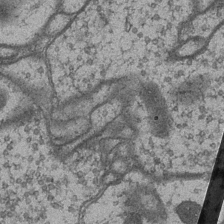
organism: Drosophila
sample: Optic medulla